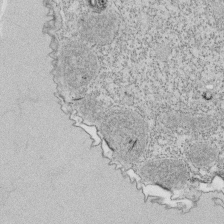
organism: Tetrahymena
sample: Cilia in tetrahymena